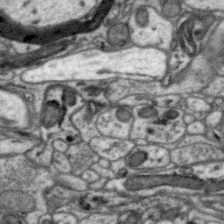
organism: Zebra finch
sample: Brain